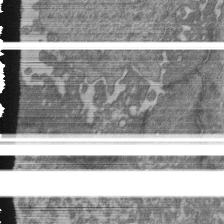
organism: Human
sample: Retinal organoid Rod and Cone cells